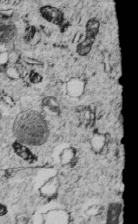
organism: C. elegans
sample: C. elegans embryo early stage